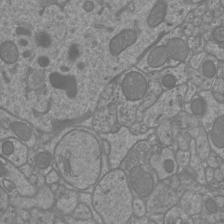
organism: Mouse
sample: Cortical neurons